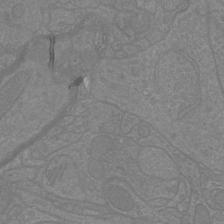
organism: Mouse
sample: Cortical neurons